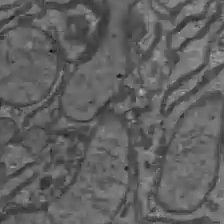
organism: C57BL Mouse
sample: Liver